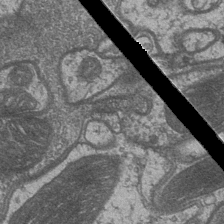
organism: Drosophila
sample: Optic medulla